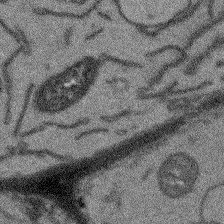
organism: Arabidopsis thaliana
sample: Root tip